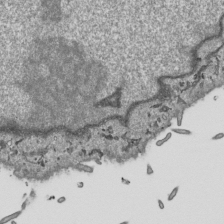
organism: Human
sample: Mitochondria in HCT116 cells